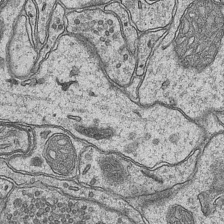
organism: Mouse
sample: CA1 Hippocampus